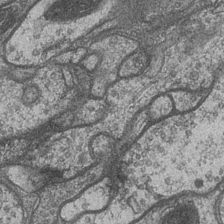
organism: Drosophila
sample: Optic medulla